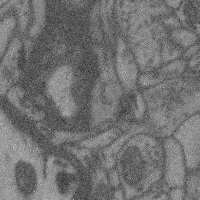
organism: Mouse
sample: Cerebral cortex